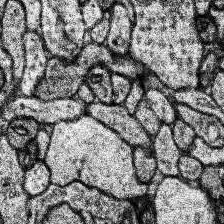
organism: Human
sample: Temporal Lobe